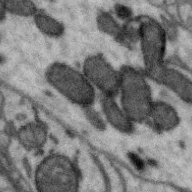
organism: Zebra finch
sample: Brain